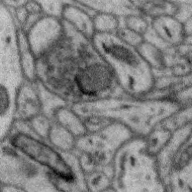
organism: Zebra finch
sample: Brain